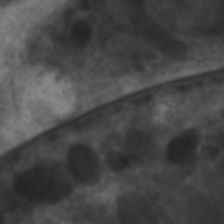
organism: C. elegans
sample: Pharynx